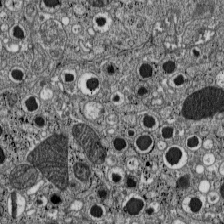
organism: C57BL Mouse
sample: Pancreatic islet